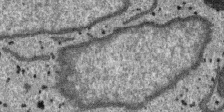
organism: Human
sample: Lung epithelial cells, uninfected (mock) control